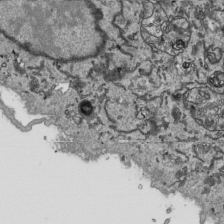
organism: Human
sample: Mitochondria in HCT116 cells